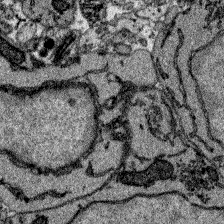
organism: Zebrafish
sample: Larval olfactory bulb